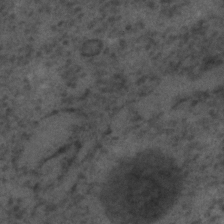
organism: C. elegans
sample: C. elegans embryo